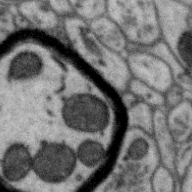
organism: Zebra finch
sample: Brain